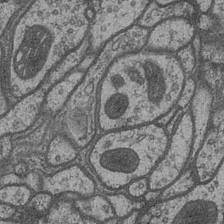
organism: Drosophila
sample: Optic medulla